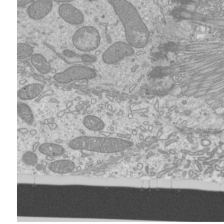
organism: Mouse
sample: Cilia; mouse epididymis